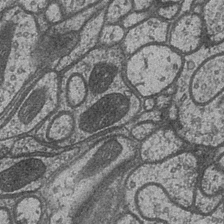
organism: Drosophila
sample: Optic medulla